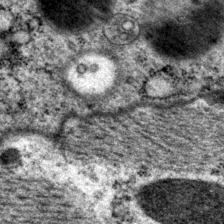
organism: P. pacificus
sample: Pharynx